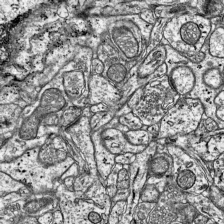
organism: Mouse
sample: Visual Cortex